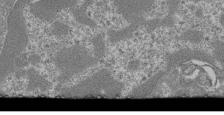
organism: Mouse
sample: Glomerulus